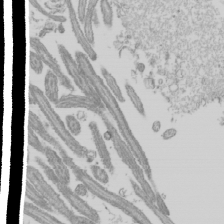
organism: Mouse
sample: Cilia; mouse epididymis